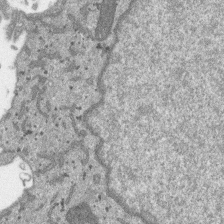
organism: Human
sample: Lung epithelial cells infected with SARS-CoV-2